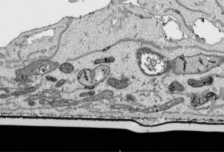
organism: Human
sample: Mitochondria in HCT116 cells